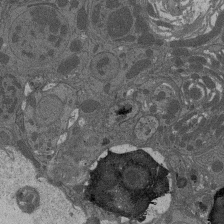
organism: Drosophila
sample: Antenna